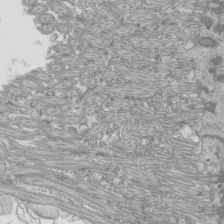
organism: Mouse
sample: Cilia; mouse epididymis